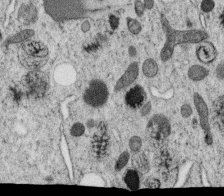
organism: C. elegans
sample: C. elegans oocyte; sperm cells